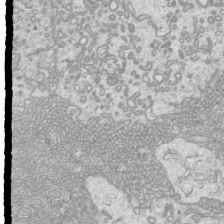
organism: Mouse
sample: Cilia; mouse epididymis